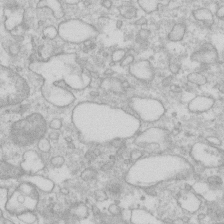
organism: Human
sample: Fibroblast cells